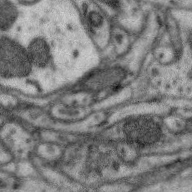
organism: Zebra finch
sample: Brain